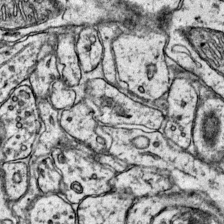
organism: Mouse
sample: Primary visual cortex